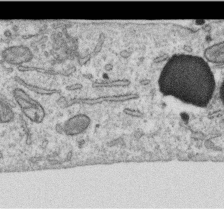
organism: Human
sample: Centriole in RPE cells